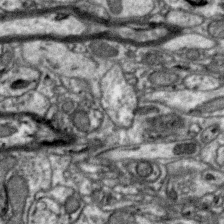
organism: Zebra finch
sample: Brain